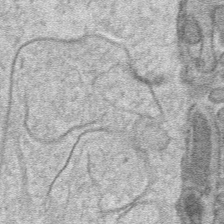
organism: Mouse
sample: Mouse hepatocytes